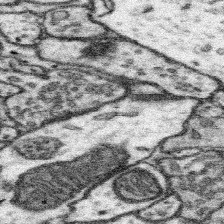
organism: Mouse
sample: Somatosensory cortex neuropil